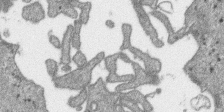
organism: Human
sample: Lung epithelial cells infected with SARS-CoV-2